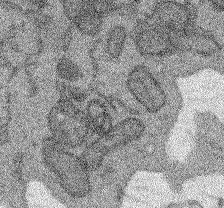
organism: Human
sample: HeLa cells